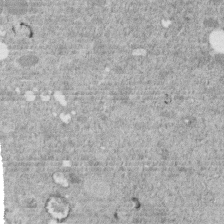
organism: C. elegans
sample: C. elegans embryo early stage